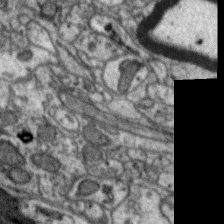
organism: Zebra finch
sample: Brain